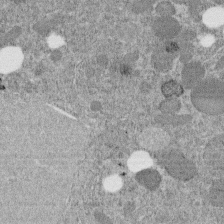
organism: C. elegans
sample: C. elegans embryo early stage